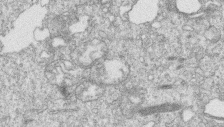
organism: Human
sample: HeLa cell HIV synapse